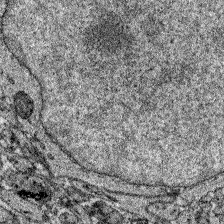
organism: Zebrafish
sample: Larval olfactory bulb